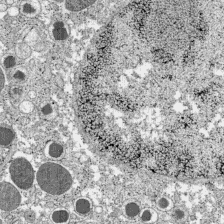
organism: C57BL Mouse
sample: Pancreatic islet